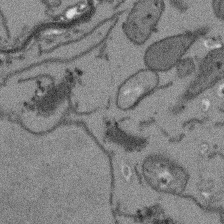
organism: Arabidopsis thaliana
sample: Root tip